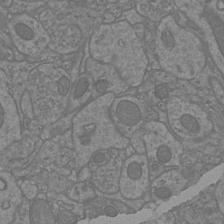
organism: Mouse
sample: Cortical neurons